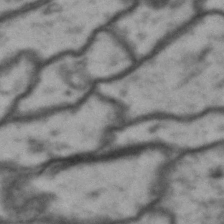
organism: Drosophila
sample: Brain